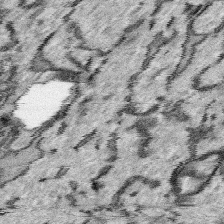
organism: Human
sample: HeLa cells